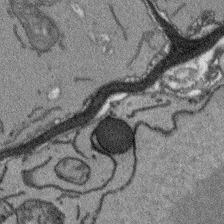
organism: Arabidopsis thaliana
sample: Root tip